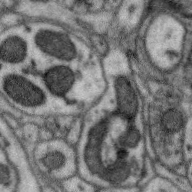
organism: Zebra finch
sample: Brain